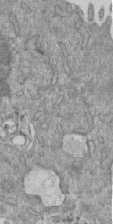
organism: Mouse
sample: ED-1 cell nuclei; centrioles